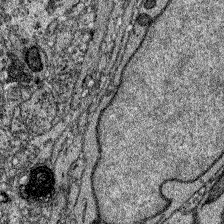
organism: Zebrafish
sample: Larval olfactory bulb